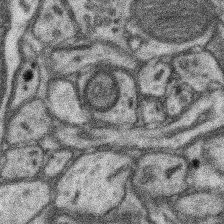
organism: Mouse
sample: Somatosensory cortex neuropil